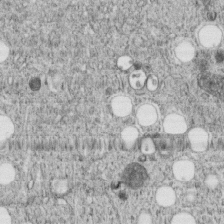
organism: C. elegans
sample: C. elegans embryo early stage